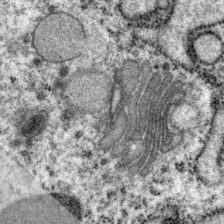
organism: P. pacificus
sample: Pharynx